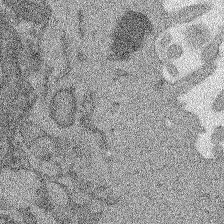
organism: Human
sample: HeLa cells